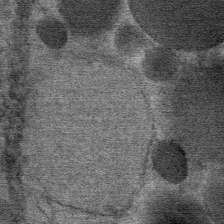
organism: Mouse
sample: Mouse Salivary gland